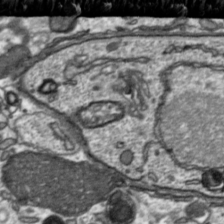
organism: Toxoplasma gondii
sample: Parasites in a vacuole inside a host cell